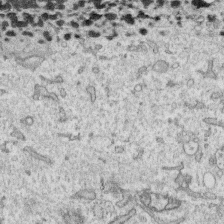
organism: Human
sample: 1205lu cells